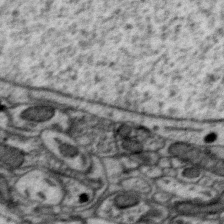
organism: Zebra finch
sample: Brain